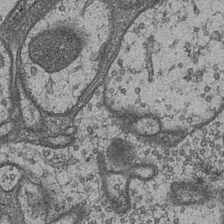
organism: Drosophila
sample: Optic medulla